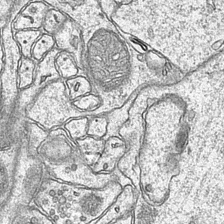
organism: Mouse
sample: CA1 Hippocampus